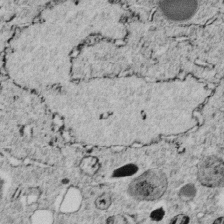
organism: C. elegans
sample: C. elegans embryo early stage